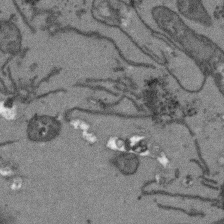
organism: Arabidopsis thaliana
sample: Root tip